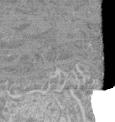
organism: Mouse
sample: Glomerulus